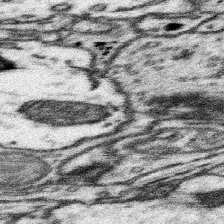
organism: Mouse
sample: Somatosensory cortex neuropil